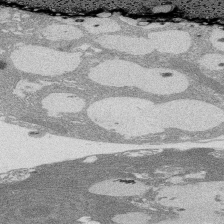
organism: Rat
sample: Salivary granule